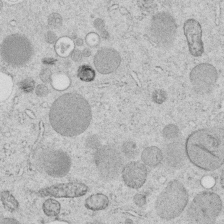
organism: C. elegans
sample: C. elegans embryo early stage